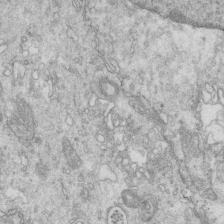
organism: Mouse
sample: Multiciliated cells